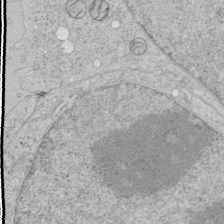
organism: Human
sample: Mitochondria in HCT116 cells